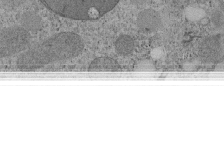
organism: Tetrahymena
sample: Cilia in tetrahymena